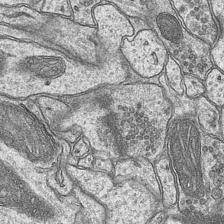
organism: Mouse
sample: CA1 Hippocampus